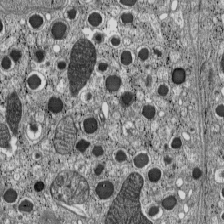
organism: C57BL Mouse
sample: Pancreatic islet